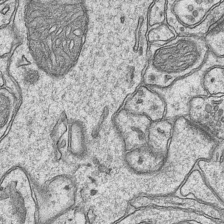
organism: Mouse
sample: CA1 Hippocampus